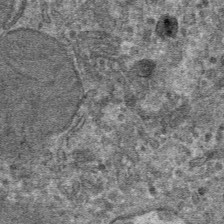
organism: Mouse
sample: Mouse hepatocytes